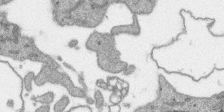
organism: Human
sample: Lung epithelial cells infected with SARS-CoV-2